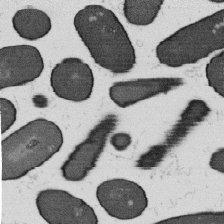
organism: B. subtilis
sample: Bacterial spore